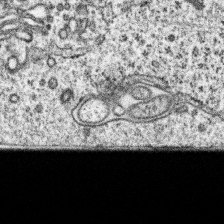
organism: Human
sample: HeLa cells